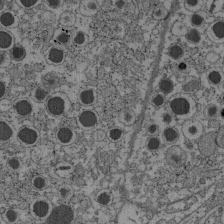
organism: C57BL Mouse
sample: Pancreatic islet